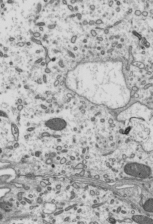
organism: Mouse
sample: Mouse epididymis efferent ductule cilia